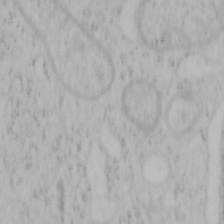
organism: Mouse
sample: OT-I killer T cells with ID8 ovarian cancer cells